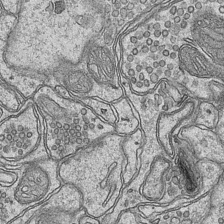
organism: Mouse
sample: CA1 Hippocampus